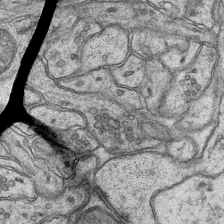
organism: Mouse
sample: CA1 Hippocampus